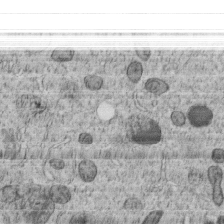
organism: C. elegans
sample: C. elegans embryo early stage